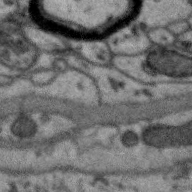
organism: Zebra finch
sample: Brain